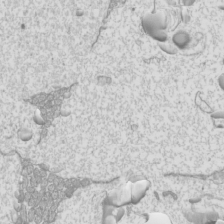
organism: Mouse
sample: Cilia; mouse epididymis